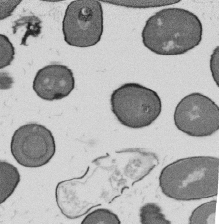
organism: B. subtilis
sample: Bacterial spore